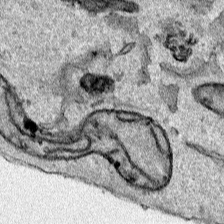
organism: Human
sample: Mitochondria in HCT116 cells